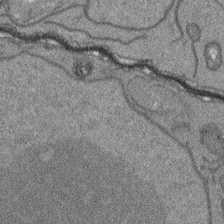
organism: Arabidopsis thaliana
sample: Root tip